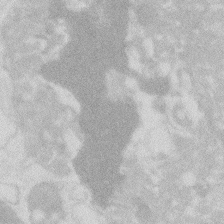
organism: Zebrafish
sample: Macrophage